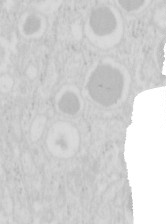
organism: Mouse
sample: Pancreas